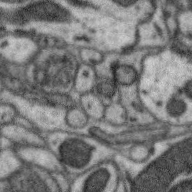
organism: Zebra finch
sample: Brain